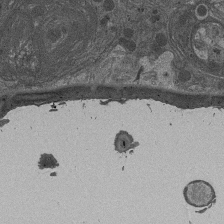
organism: Drosophila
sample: Antenna